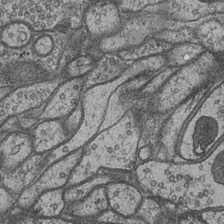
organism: Drosophila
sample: Optic medulla